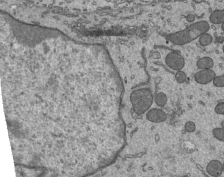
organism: Mouse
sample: Mouse epididymis efferent ductule cilia